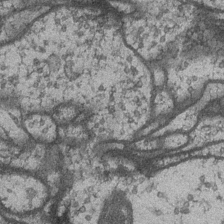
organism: Drosophila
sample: Optic medulla